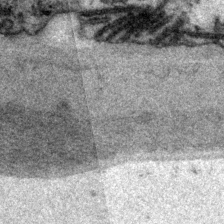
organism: P. pacificus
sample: Pharynx